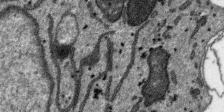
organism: Human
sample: Lung epithelial cells, uninfected (mock) control